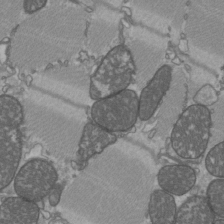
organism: C57BL Mouse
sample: Heart